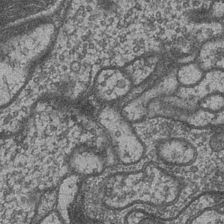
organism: Drosophila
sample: Optic medulla